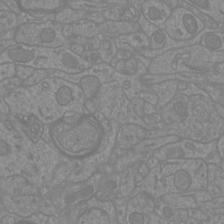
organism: Mouse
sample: Cortical neurons